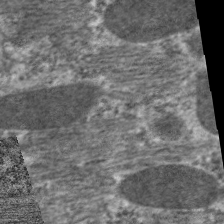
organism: C. elegans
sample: Pharynx